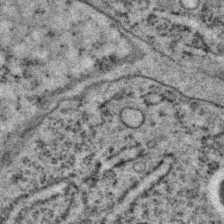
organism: C. elegans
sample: C. elegans embryo